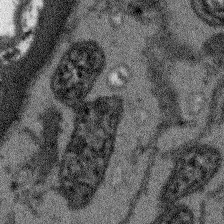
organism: Arabidopsis thaliana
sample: Root tip